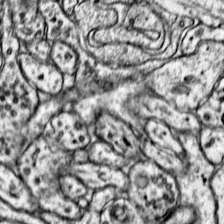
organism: Mouse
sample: Primary visual cortex